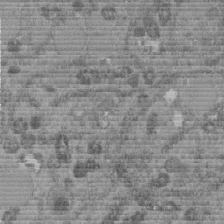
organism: C. elegans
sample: C. elegans embryo early stage